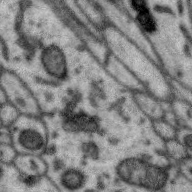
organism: Zebra finch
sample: Brain